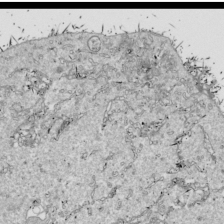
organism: Drosophila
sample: Cell division; meiosis; drosophila spermatocytes